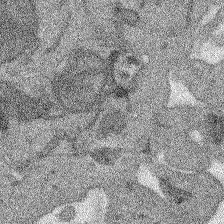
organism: Human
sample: HeLa cells